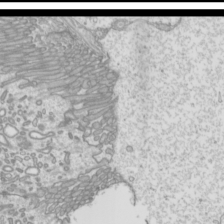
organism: Mouse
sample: Cilia; mouse epididymis